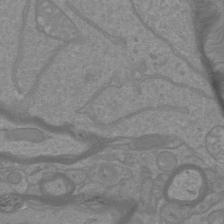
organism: Mouse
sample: Cortical neurons